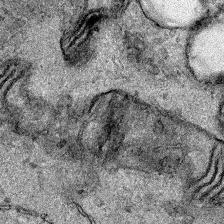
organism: Human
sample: Mitochondria in HCT116 cells